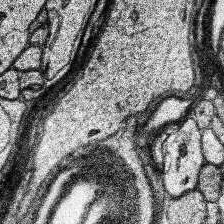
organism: Human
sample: Temporal Lobe